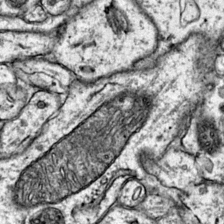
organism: Mouse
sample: Primary visual cortex